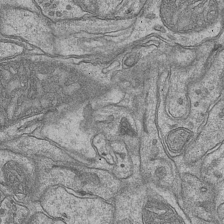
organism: Mouse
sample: CA1 Hippocampus